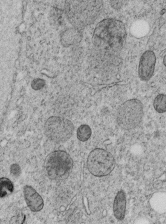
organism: C. elegans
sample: C. elegans embryo early stage